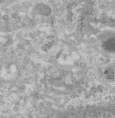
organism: Human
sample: Centriole in RPE cells